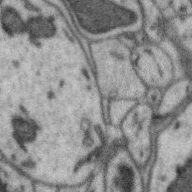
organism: Zebra finch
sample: Brain